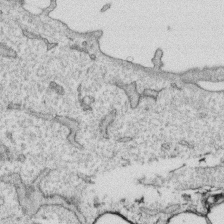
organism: Human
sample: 1205lu cells